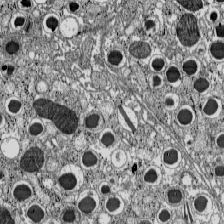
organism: C57BL Mouse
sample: Pancreatic islet